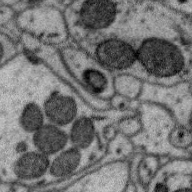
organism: Zebra finch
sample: Brain